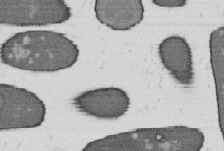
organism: B. subtilis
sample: Bacterial spore